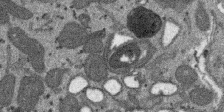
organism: Human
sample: Lung epithelial cells infected with SARS-CoV-2